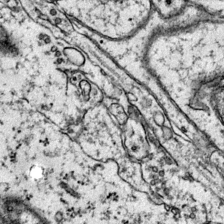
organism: Mouse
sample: Primary visual cortex